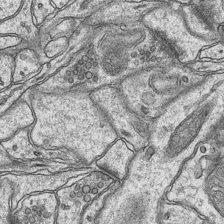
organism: Mouse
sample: CA1 Hippocampus